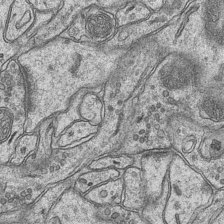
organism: Mouse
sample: CA1 Hippocampus